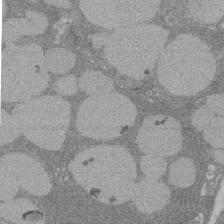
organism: Rat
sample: Salivary granule